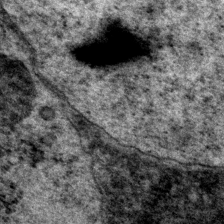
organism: P. pacificus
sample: Pharynx